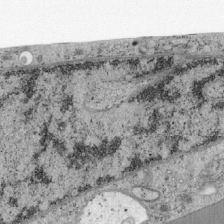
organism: Human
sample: HeLa cells